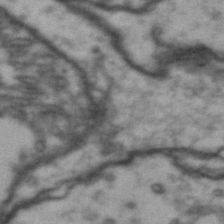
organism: Drosophila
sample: Brain